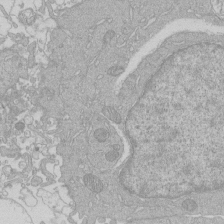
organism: Human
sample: Macrophage cells